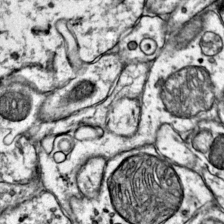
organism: Mouse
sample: Primary visual cortex